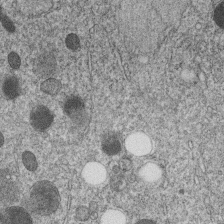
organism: C. elegans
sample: C. elegans embryo early stage